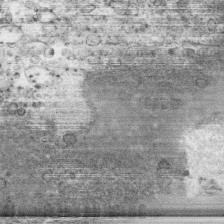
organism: Human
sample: CRL-1474